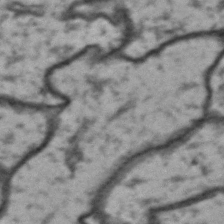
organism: Drosophila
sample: Brain